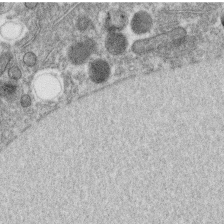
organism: C. elegans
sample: C. elegans oocyte; sperm cells